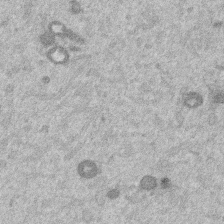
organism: Mouse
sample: Dividing mouse embryo 1 cell stage